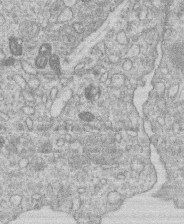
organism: Human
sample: Macrophage cells